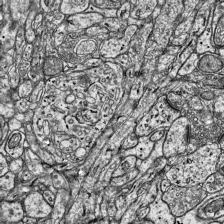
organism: Mouse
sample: Visual Cortex